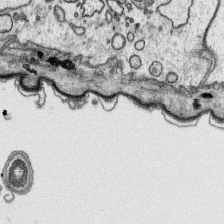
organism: Platynereis dumerilii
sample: Parapodia